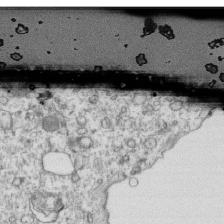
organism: Mouse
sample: Activated OT-1 CD8+ T cells